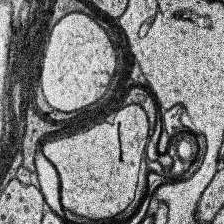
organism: Human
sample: Temporal Lobe